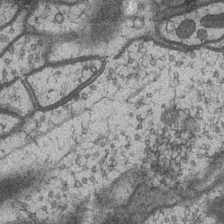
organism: Drosophila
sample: Optic medulla